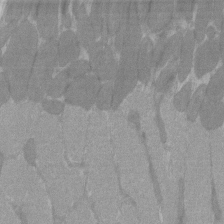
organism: C57BL Mouse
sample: Tibialis anterior muscle cell